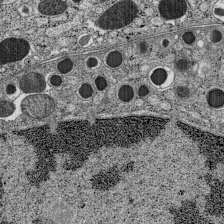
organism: C57BL Mouse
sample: Pancreatic islet